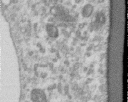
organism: Human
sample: Centriole in RPE cells